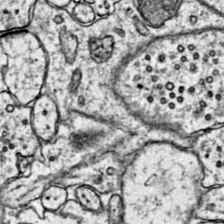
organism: Mouse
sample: Primary visual cortex